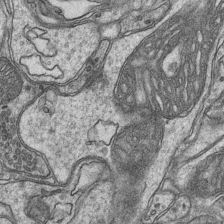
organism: Mouse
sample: CA1 Hippocampus